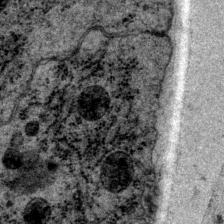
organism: P. pacificus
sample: Pharynx